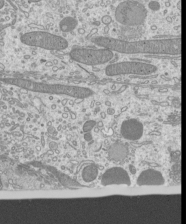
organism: Mouse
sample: Cilia; mouse epididymis